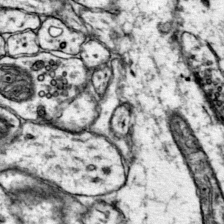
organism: Mouse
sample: Primary visual cortex